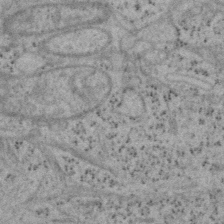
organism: Human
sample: HeLa cells